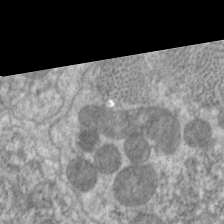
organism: C. elegans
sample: Pharynx